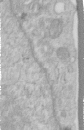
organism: Human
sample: Centriole in RPE cells